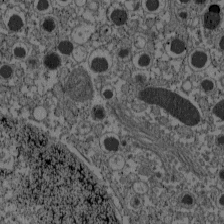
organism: C57BL Mouse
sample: Pancreatic islet